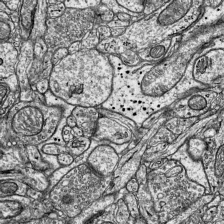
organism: Mouse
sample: Visual Cortex